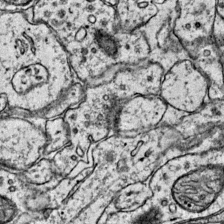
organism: Mouse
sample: Primary visual cortex